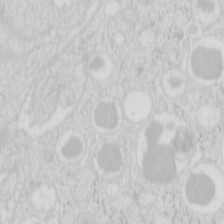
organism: Mouse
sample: Pancreas